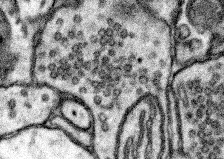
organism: Mouse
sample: Somatosensory cortex neuropil